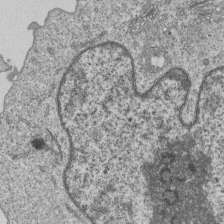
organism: Human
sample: MDA-MB-231 cells